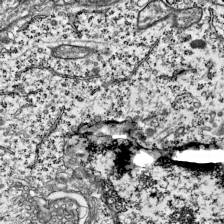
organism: Mouse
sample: Visual Cortex